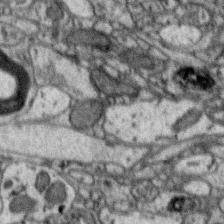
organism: Zebra finch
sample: Brain